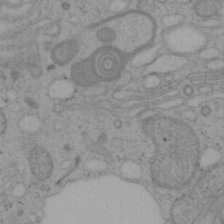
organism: Mouse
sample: OT-I killer T cells with ID8 ovarian cancer cells